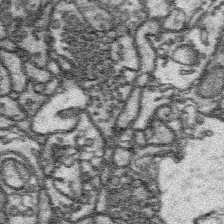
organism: Platynereis dumerilii